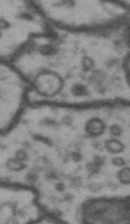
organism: Drosophila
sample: Brain